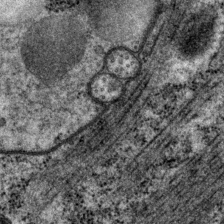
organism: P. pacificus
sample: Pharynx